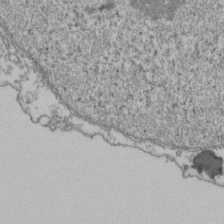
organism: Human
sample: Activated Jurkat CD4+ T cells